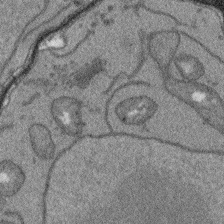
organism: Arabidopsis thaliana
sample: Root tip